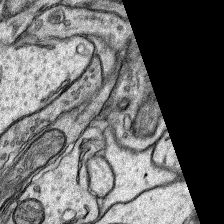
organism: Rat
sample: Hippocampus